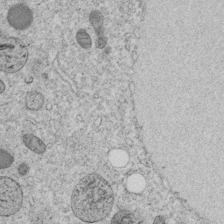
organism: C. elegans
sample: C. elegans embryo early stage